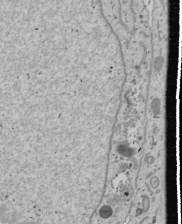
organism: Human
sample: Mitochondria in U2OS cells